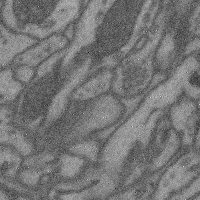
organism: Mouse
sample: Cerebral cortex